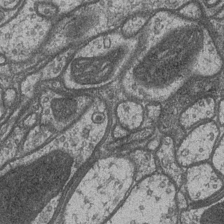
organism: Drosophila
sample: Optic medulla